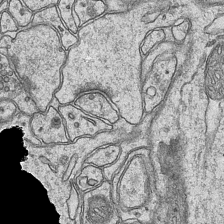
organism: Mouse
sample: CA1 Hippocampus